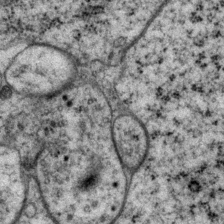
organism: P. pacificus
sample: Pharynx